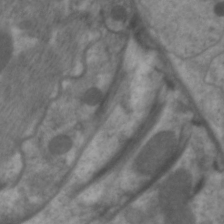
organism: C. elegans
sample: Pharynx